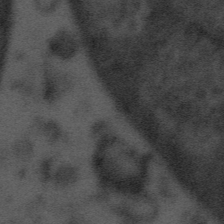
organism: Tuwongella immobilis